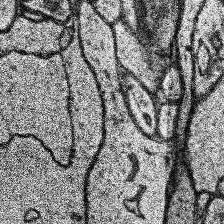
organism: Human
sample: Temporal Lobe